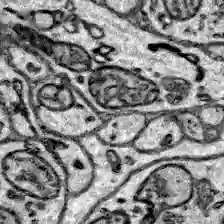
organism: Zebrafish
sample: Brain